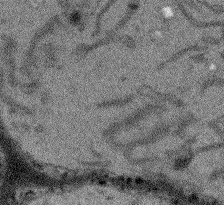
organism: Arabidopsis thaliana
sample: Root tip